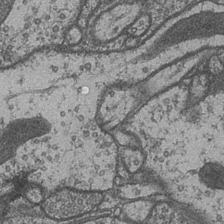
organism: Drosophila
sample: Optic medulla